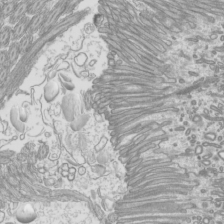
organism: Mouse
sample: Cilia; mouse epididymis